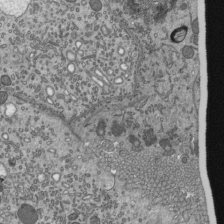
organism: Mouse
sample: Mouse epididymis efferent ductule cilia